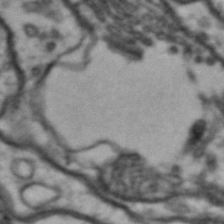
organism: Drosophila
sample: Brain